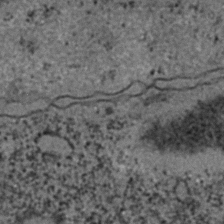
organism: C. elegans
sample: C. elegans embryo